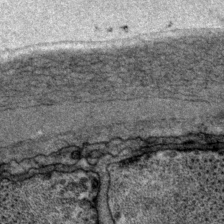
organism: P. pacificus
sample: Pharynx